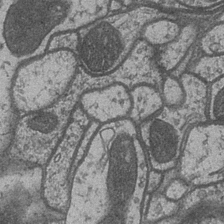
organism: Drosophila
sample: Optic medulla